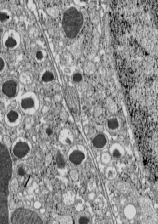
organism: C57BL Mouse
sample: Pancreatic islet